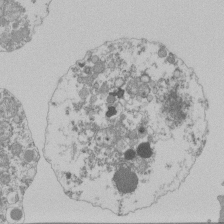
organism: Mouse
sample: Activated Pmel transgenic CD8+ T Cells